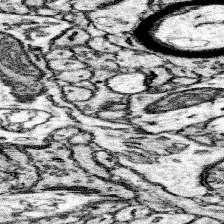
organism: Mouse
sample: Somatosensory cortex neuropil